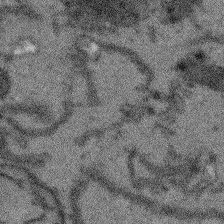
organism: Arabidopsis thaliana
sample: Root tip